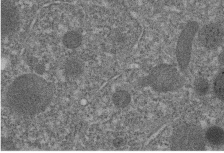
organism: C. elegans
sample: C. elegans embryo early stage